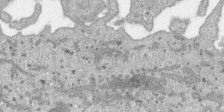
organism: Human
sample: Lung epithelial cells infected with SARS-CoV-2